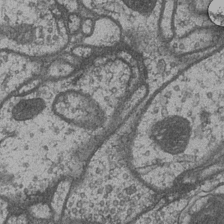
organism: Drosophila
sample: Optic medulla